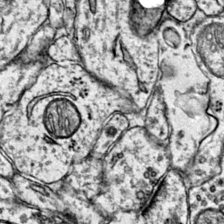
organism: Mouse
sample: Primary visual cortex